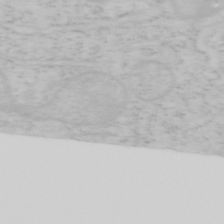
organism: Mouse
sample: OT-I killer T cells with ID8 ovarian cancer cells